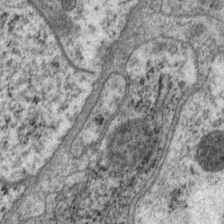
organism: P. pacificus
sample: Pharynx